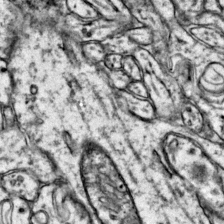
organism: Mouse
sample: Primary visual cortex